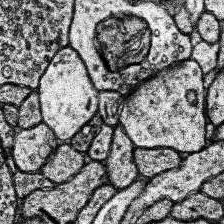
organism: Human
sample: Temporal Lobe